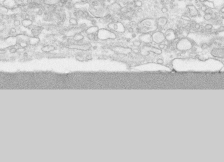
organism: Human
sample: CRL-1474